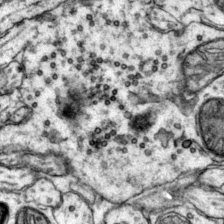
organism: Mouse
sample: Primary visual cortex